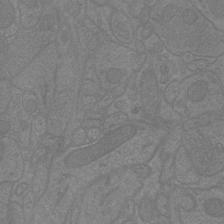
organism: Mouse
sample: Cortical neurons